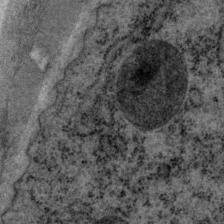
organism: P. pacificus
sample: Pharynx